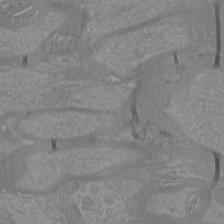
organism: Mouse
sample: Cortical neurons